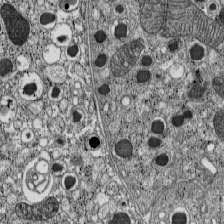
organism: C57BL Mouse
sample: Pancreatic islet